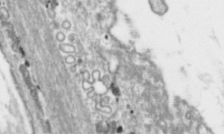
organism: Toxoplasma gondii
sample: Parasites in a vacuole inside a host cell